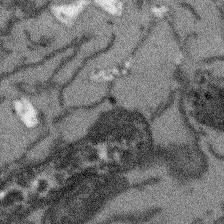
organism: Arabidopsis thaliana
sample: Root tip